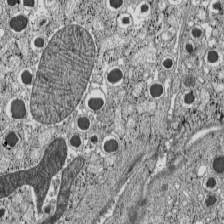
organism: C57BL Mouse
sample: Pancreatic islet